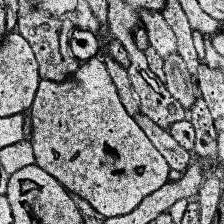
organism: Human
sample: Temporal Lobe